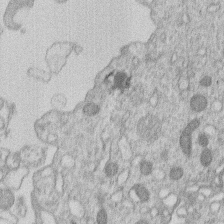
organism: Human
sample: Macrophage cells